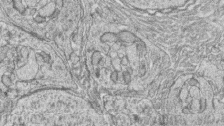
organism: Zebrafish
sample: synaptic ribbons in rod cells and cone cells